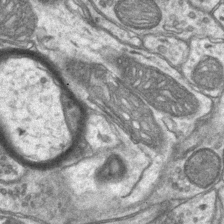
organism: Mouse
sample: CA1 Hippocampus